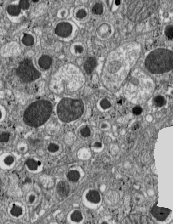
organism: C57BL Mouse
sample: Pancreatic islet